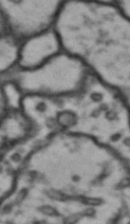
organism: Drosophila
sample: Brain